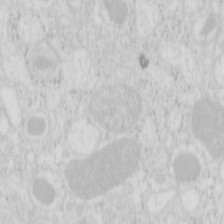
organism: Mouse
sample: Pancreas